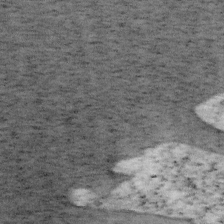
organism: Mouse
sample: OT-I killer T cells with ID8 ovarian cancer cells